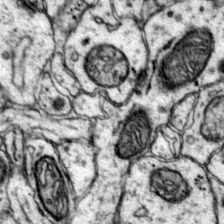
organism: Mouse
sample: Primary visual cortex